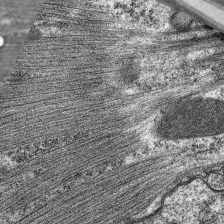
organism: C. elegans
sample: Pharynx